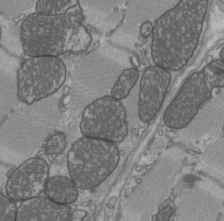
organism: C57BL Mouse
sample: Heart